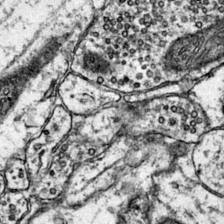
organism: Mouse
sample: Primary visual cortex